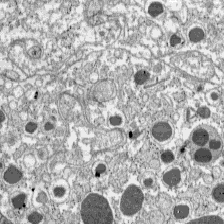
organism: C57BL Mouse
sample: Pancreatic islet